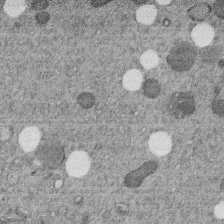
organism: C. elegans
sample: C. elegans embryo early stage